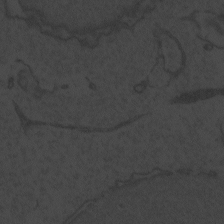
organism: Zebrafish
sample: Macrophage infected with Toxoplasma gondii